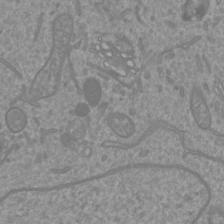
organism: Mouse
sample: Cortical neurons